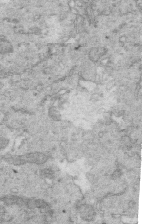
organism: Mouse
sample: Multiciliated cells